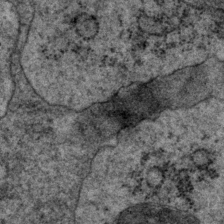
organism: P. pacificus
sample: Pharynx